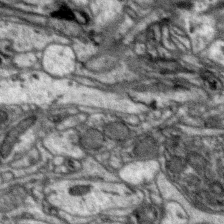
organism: Zebra finch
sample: Brain